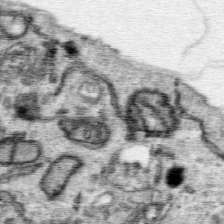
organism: Human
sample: HeLa cells